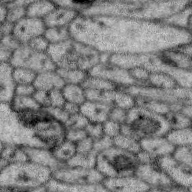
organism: Zebra finch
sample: Brain